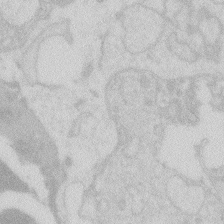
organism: Zebrafish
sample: Macrophage